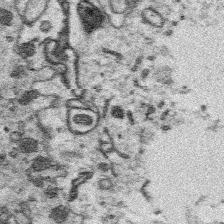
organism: Platynereis dumerilii